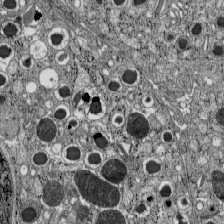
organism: C57BL Mouse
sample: Pancreatic islet